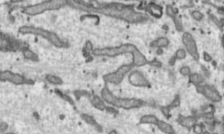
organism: Toxoplasma gondii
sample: Parasites in a vacuole inside a host cell